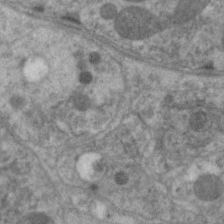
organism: C. elegans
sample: Pharynx